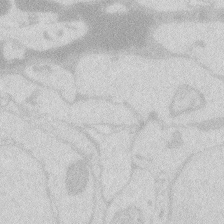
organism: Zebrafish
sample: Macrophage